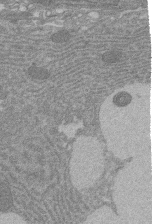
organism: Rat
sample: Salivary granule